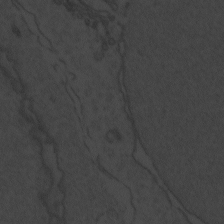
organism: Zebrafish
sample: Macrophage infected with Toxoplasma gondii